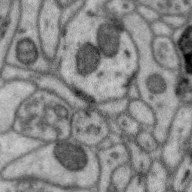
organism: Zebra finch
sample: Brain